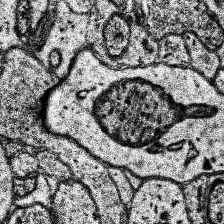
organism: Human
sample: Temporal Lobe